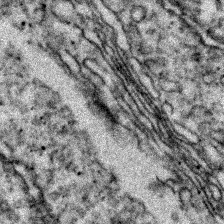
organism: Zebrafish